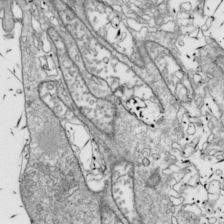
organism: Drosophila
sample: Cell division; meiosis; drosophila spermatocytes